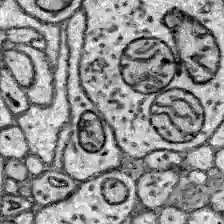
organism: Zebrafish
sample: Brain